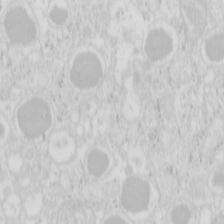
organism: Mouse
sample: Pancreas